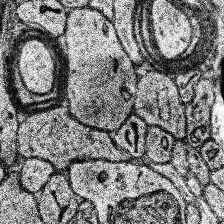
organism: Human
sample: Temporal Lobe